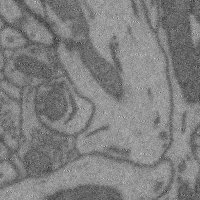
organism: Mouse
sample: Cerebral cortex